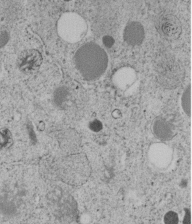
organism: C. elegans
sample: C. elegans embryo early stage